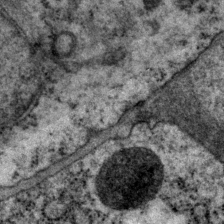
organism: P. pacificus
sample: Pharynx